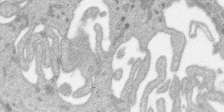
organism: Human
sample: Lung epithelial cells infected with SARS-CoV-2